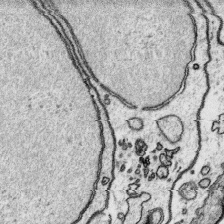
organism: Platynereis dumerilii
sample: Parapodia